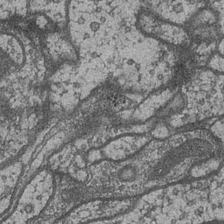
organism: Drosophila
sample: Optic medulla